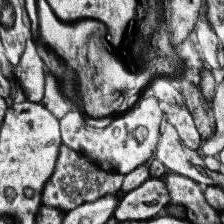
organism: Human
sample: Temporal Lobe